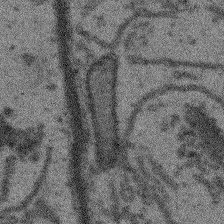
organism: Arabidopsis thaliana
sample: Root tip